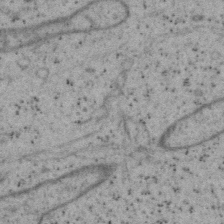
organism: Human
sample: HeLa cells